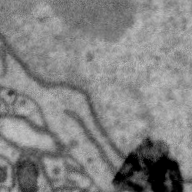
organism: Zebra finch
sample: Brain